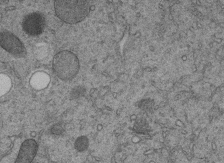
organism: C. elegans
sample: C. elegans embryo early stage